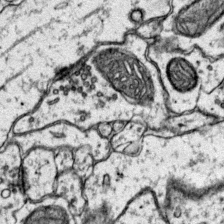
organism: Mouse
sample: Primary visual cortex